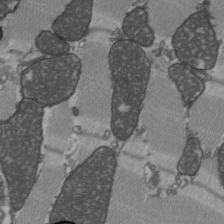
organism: C57BL Mouse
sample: Heart